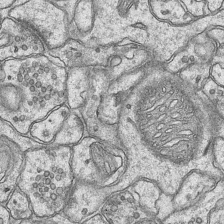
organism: Mouse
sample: CA1 Hippocampus